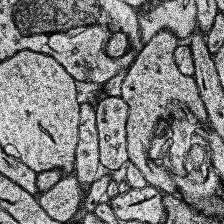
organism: Human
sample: Temporal Lobe